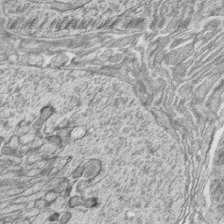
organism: Zebrafish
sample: synaptic ribbons in rod cells and cone cells